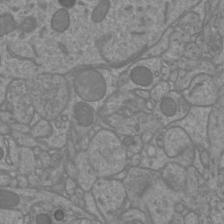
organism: Mouse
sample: Cortical neurons